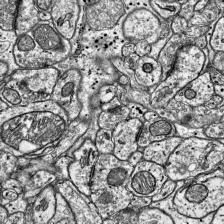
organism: Mouse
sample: Visual Cortex